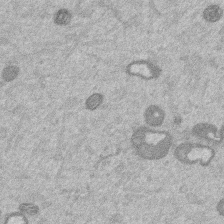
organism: Mouse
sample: Dividing mouse embryo 1 cell stage